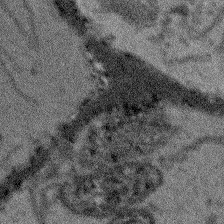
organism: Arabidopsis thaliana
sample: Root tip